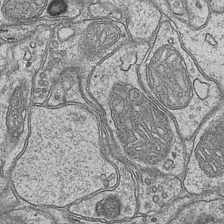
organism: Mouse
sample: CA1 Hippocampus